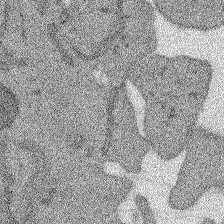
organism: Human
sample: HeLa cells